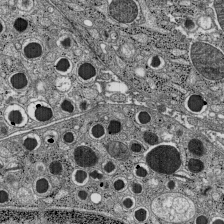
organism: C57BL Mouse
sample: Pancreatic islet